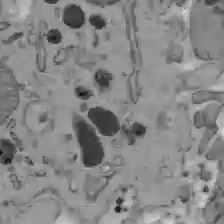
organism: C57BL Mouse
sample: Liver